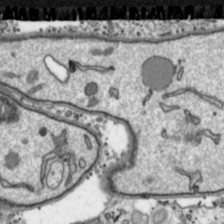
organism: Toxoplasma gondii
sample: Parasites in a vacuole inside a host cell